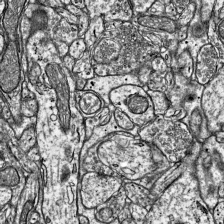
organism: Mouse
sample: Visual Cortex